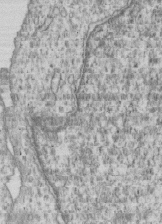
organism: Human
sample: MDA-MB-231 cells